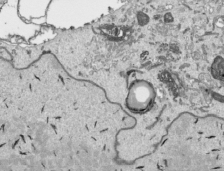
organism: Human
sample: Mitochondria in HCT116 cells